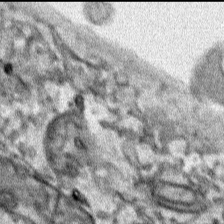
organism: Human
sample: Mitochondria in HCT116 cells